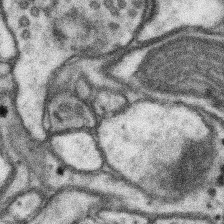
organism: Mouse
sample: Somatosensory cortex neuropil